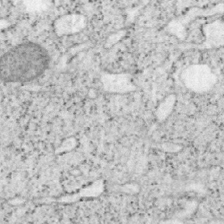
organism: Mouse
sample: OT-I killer T cells with ID8 ovarian cancer cells